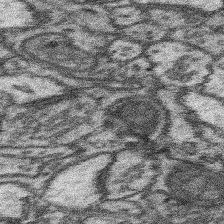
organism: Mouse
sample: Somatosensory cortex neuropil